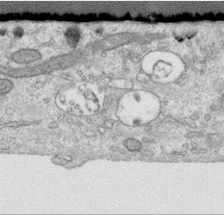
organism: Human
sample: Centriole in RPE cells